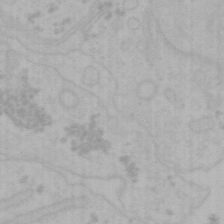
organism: Mouse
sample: Choroid plexus